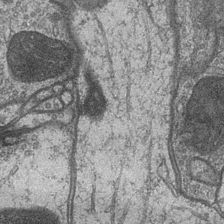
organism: Drosophila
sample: Optic medulla